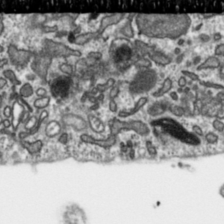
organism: Toxoplasma gondii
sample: Parasites in a vacuole inside a host cell